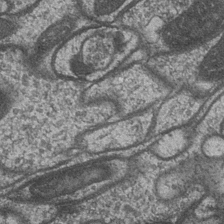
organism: Drosophila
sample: Optic medulla